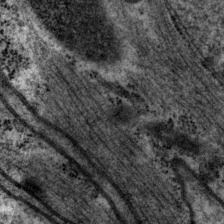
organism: P. pacificus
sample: Pharynx